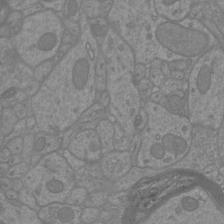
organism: Mouse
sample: Cortical neurons